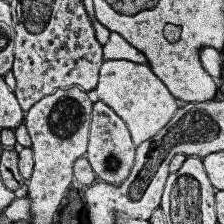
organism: Human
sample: Temporal Lobe